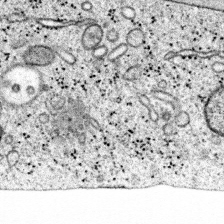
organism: Human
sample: HeLa cells